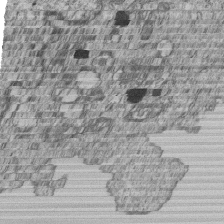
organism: Human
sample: MDA-MB-231 cells